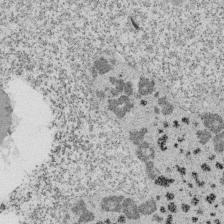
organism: Tetrahymena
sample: Cilia in tetrahymena